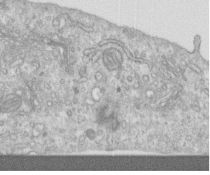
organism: Human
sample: Centriole in RPE cells